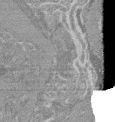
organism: Mouse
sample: Glomerulus